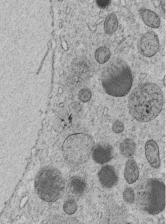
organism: C. elegans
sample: C. elegans embryo early stage